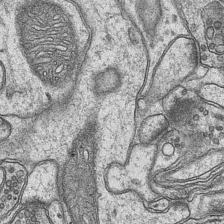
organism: Mouse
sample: CA1 Hippocampus